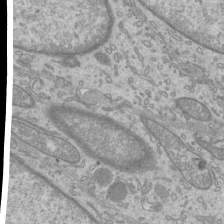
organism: Mouse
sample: Cilia; mouse epididymis